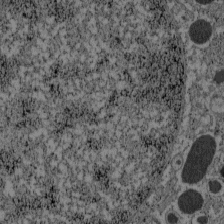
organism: C57BL Mouse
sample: Pancreatic islet